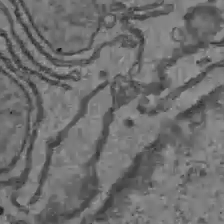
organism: C57BL Mouse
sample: Liver